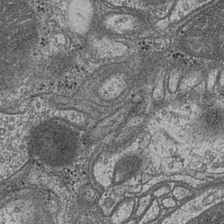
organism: Drosophila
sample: Optic medulla